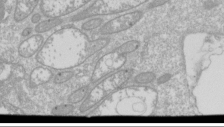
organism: Drosophila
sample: Cell division; meiosis; drosophila spermatocytes